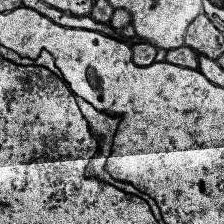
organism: Human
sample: Temporal Lobe